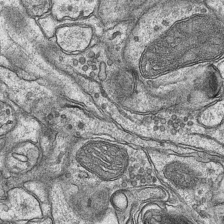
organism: Mouse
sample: CA1 Hippocampus